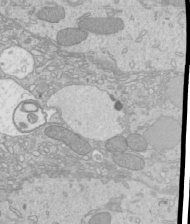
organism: Mouse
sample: Cilia; mouse epididymis